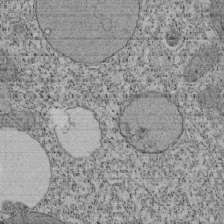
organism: Tetrahymena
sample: Cilia in tetrahymena